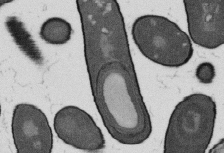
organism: B. subtilis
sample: Bacterial spore